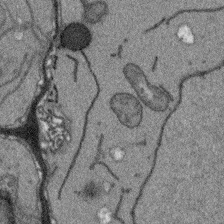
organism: Arabidopsis thaliana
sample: Root tip